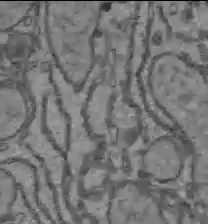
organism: C57BL Mouse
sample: Liver